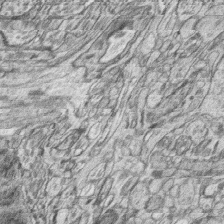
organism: Zebrafish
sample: synaptic ribbons in rod cells and cone cells